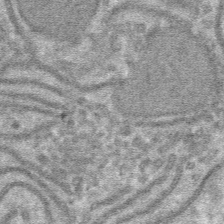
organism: Mouse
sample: Mouse hepatocytes